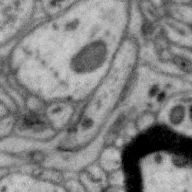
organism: Zebra finch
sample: Brain